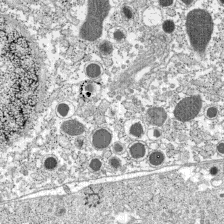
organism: C57BL Mouse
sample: Pancreatic islet